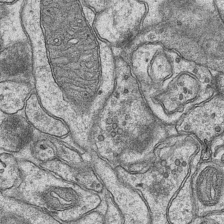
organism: Mouse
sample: CA1 Hippocampus